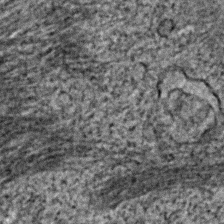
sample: Trachea